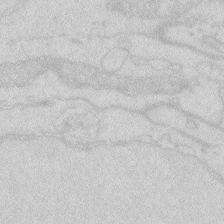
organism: Zebrafish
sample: Macrophage